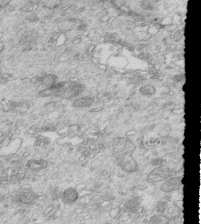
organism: Mouse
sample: Multiciliated cells